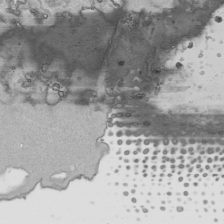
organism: Human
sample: Mitochondria in HCT116 cells